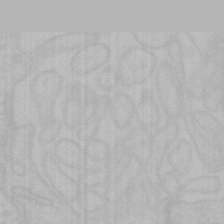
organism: Mouse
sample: Choroid plexus